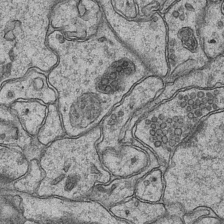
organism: Mouse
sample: CA1 Hippocampus